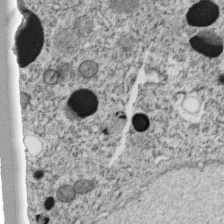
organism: C. elegans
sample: C. elegans embryo early stage